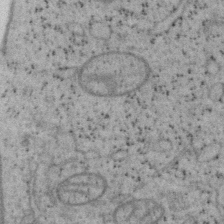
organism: Human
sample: HeLa cells